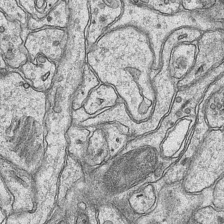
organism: Mouse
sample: CA1 Hippocampus